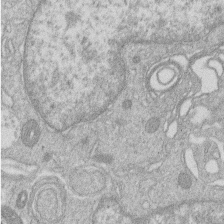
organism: Human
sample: Macrophage cells